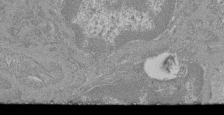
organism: Mouse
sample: Glomerulus